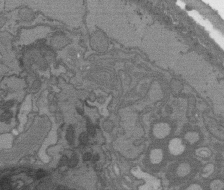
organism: C. elegans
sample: AFD neurons C. elegans